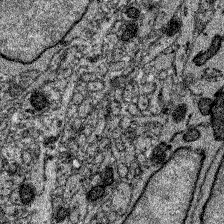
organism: Zebrafish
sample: Larval olfactory bulb